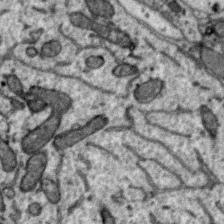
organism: Zebra finch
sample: Brain